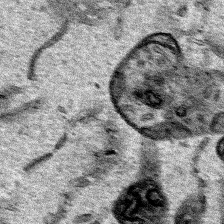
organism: Human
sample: Mitochondria in HCT116 cells